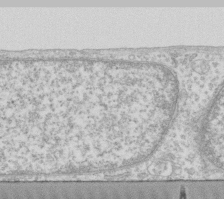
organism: Human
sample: Fibroblast cells